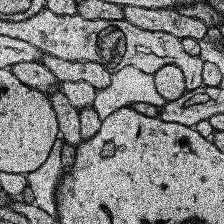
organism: Human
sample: Temporal Lobe